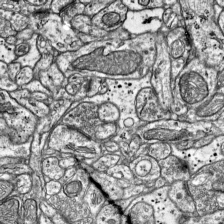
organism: Mouse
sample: Visual Cortex